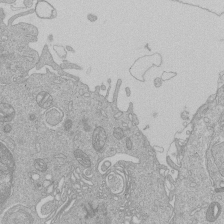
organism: Human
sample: Macrophage cells